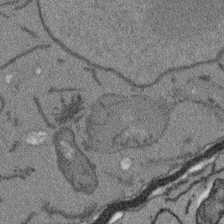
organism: Arabidopsis thaliana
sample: Root tip